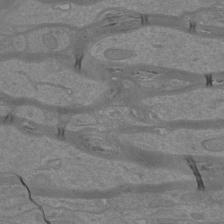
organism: Mouse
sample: Cortical neurons